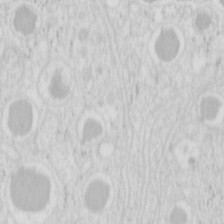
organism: Mouse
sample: Pancreas